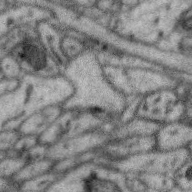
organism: Zebra finch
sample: Brain